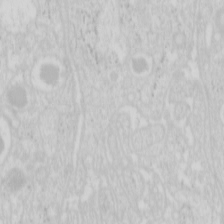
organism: Mouse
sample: Pancreas